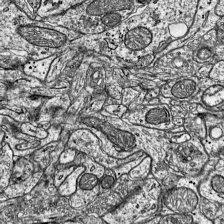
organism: Mouse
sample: Visual Cortex